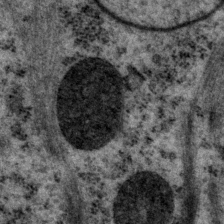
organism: P. pacificus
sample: Pharynx